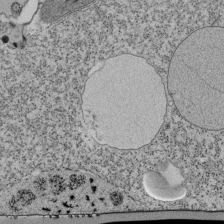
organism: Tetrahymena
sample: Cilia in tetrahymena